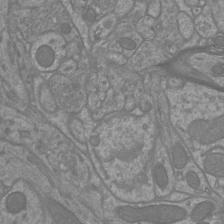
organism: Mouse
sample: Cortical neurons